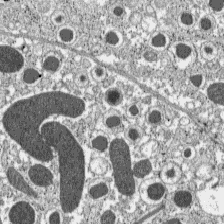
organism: C57BL Mouse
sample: Pancreatic islet